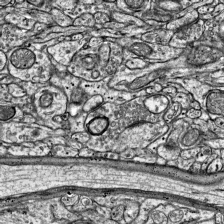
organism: Mouse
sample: Visual Cortex